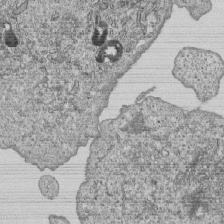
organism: Human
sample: MDA-MB-231 cells